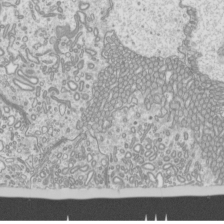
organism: Mouse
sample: Cilia; mouse epididymis